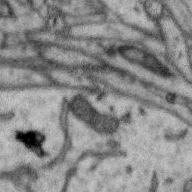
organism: Zebra finch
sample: Brain